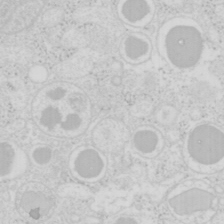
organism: Mouse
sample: Pancreas